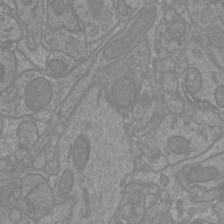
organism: Mouse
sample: Cortical neurons